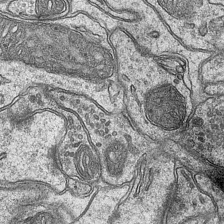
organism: Mouse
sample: CA1 Hippocampus